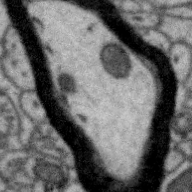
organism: Zebra finch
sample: Brain